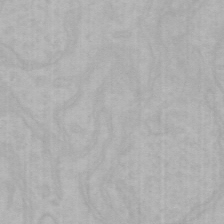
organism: Mouse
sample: Choroid plexus